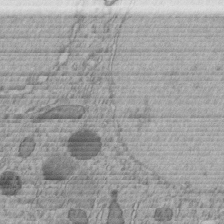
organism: C. elegans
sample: C. elegans embryo early stage